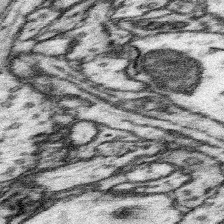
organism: Mouse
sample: Somatosensory cortex neuropil